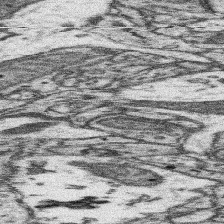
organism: Mouse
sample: Somatosensory cortex neuropil